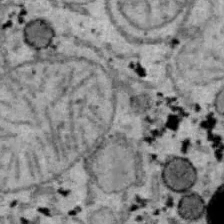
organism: Mouse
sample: Liver from an obese (ob/ob) mouse